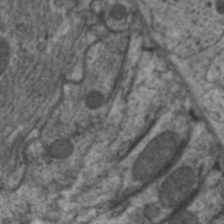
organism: C. elegans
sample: Pharynx